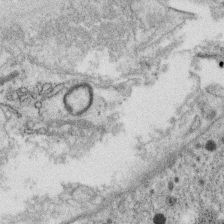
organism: C. elegans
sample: C. elegans oocyte; sperm cells